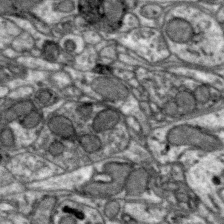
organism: Zebra finch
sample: Brain